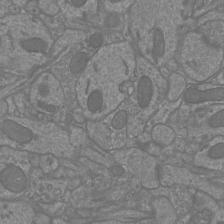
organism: Mouse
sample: Cortical neurons